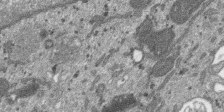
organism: Human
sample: Lung epithelial cells infected with SARS-CoV-2